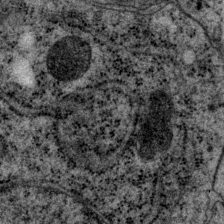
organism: P. pacificus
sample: Pharynx